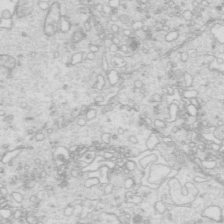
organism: Mouse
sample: Multiciliated cells